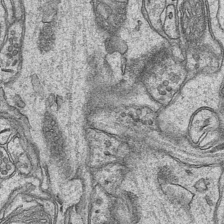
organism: Mouse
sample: CA1 Hippocampus